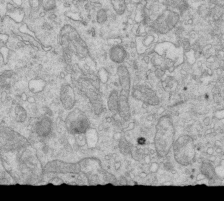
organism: Mouse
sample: Multiciliated cells